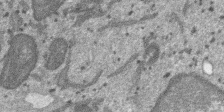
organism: Human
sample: Lung epithelial cells infected with SARS-CoV-2